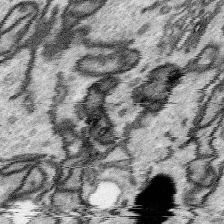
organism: Human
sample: HeLa cells